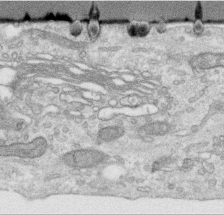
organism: Human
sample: Centriole in RPE cells